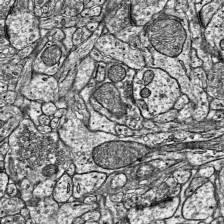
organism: Mouse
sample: Visual Cortex